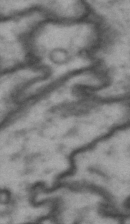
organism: Drosophila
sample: Brain